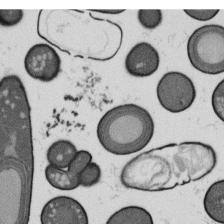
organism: B. subtilis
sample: Bacterial spore